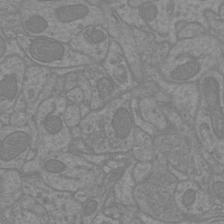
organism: Mouse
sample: Cortical neurons